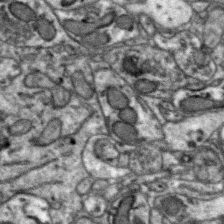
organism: Zebra finch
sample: Brain